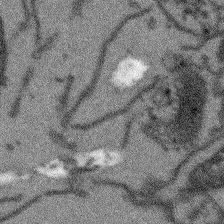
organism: Arabidopsis thaliana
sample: Root tip